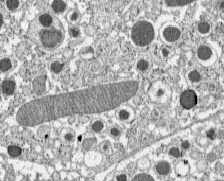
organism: C57BL Mouse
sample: Pancreatic islet